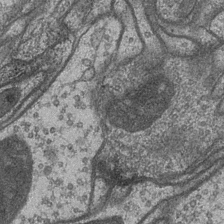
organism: Drosophila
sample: Optic medulla